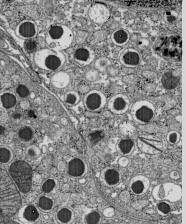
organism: C57BL Mouse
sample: Pancreatic islet